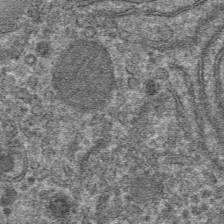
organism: Mouse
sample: Mouse hepatocytes